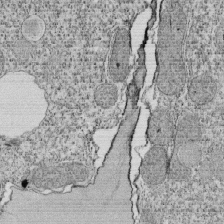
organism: Tetrahymena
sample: Cilia in tetrahymena